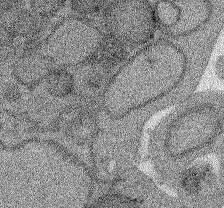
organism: Human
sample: HeLa cells